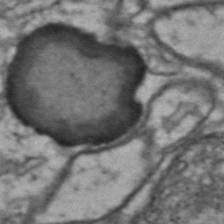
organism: Drosophila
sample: Brain